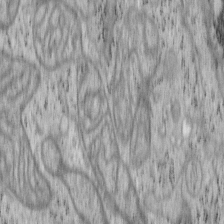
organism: Human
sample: HeLa cells